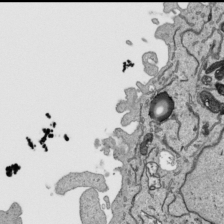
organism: Human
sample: Mitochondria in HCT116 cells